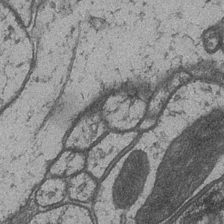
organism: Drosophila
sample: Optic medulla